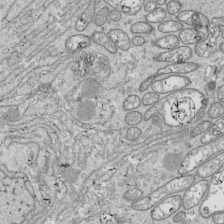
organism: Drosophila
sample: Cell division; meiosis; drosophila spermatocytes